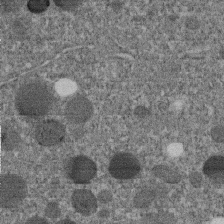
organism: C. elegans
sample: C. elegans embryo early stage